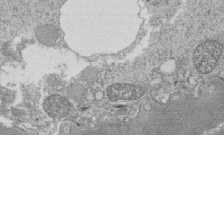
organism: Tetrahymena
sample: Cilia in tetrahymena